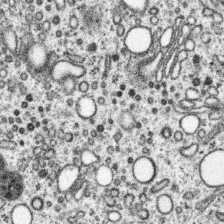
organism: Human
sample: HeLa cells